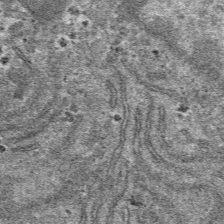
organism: Mouse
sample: Mouse hepatocytes